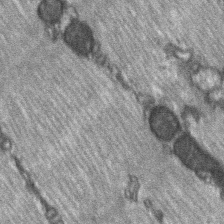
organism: C57BL Mouse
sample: Soleus